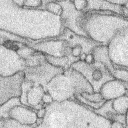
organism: Rabbit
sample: Retina